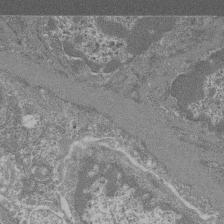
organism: Mouse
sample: Glomerulus